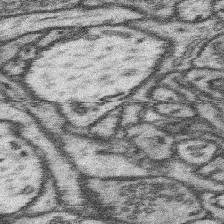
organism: Mouse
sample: Somatosensory cortex neuropil